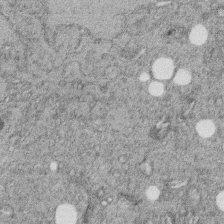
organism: C. elegans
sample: C. elegans embryo early stage